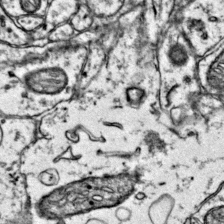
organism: Mouse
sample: Primary visual cortex